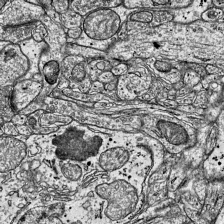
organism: Mouse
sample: Visual Cortex